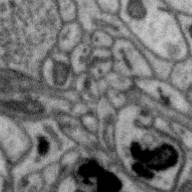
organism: Zebra finch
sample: Brain